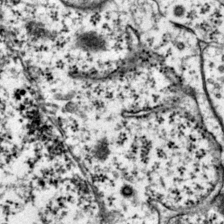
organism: Mouse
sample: Primary visual cortex